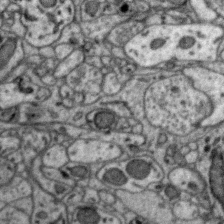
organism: Zebra finch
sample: Brain